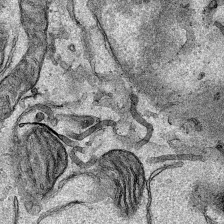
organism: Human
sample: Mitochondria in HCT116 cells